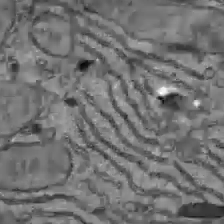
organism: C57BL Mouse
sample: Liver